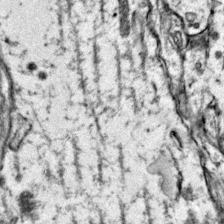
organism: Mouse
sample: Primary visual cortex